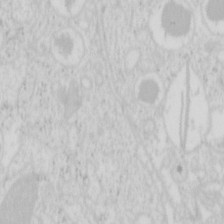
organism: Mouse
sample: Pancreas